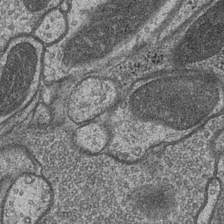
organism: Drosophila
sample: Optic medulla